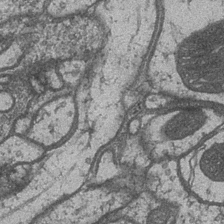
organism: Drosophila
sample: Optic medulla